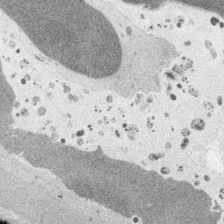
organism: Embia sp.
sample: Silk gland